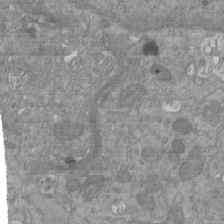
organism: Mouse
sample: ED-1 cell nuclei; centrioles